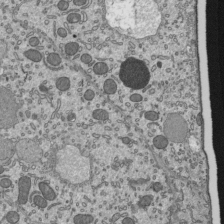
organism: Mouse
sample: Mouse epididymis efferent ductule cilia